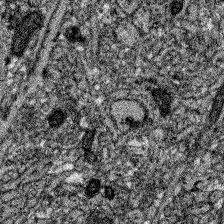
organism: Zebrafish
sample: Larval olfactory bulb